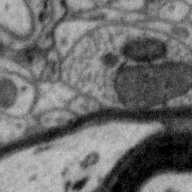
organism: Zebra finch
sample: Brain